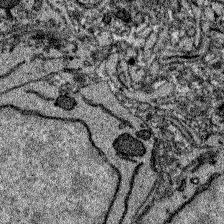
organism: Zebrafish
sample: Larval olfactory bulb